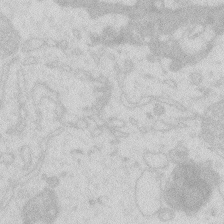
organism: Zebrafish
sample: Macrophage